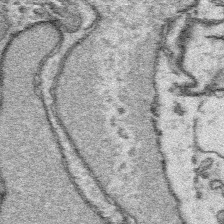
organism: Platynereis dumerilii